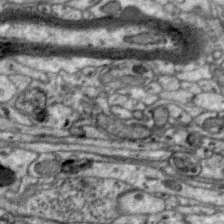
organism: Zebra finch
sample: Brain